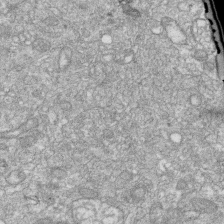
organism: Human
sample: HeLa cell HIV synapse